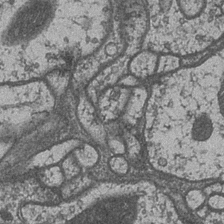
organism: Drosophila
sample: Optic medulla